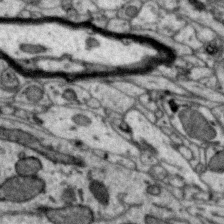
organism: Zebra finch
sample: Brain